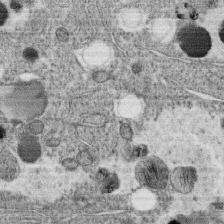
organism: C. elegans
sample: C. elegans oocyte; sperm cells